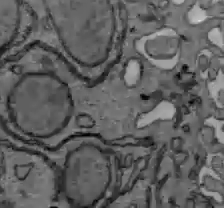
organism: C57BL Mouse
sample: Liver